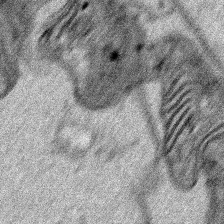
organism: Human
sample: Mitochondria in HCT116 cells